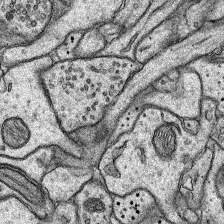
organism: Rat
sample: Hippocampus